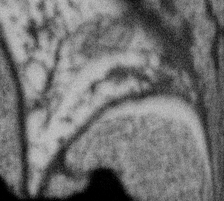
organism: Gemmata obscuriglobus